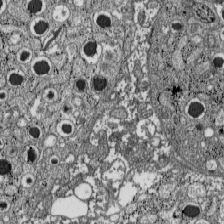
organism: C57BL Mouse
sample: Pancreatic islet